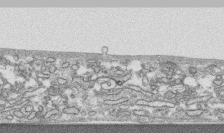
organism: Human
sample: CRL-1474